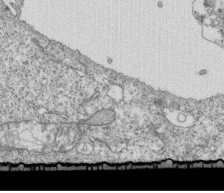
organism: Human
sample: HeLa cell HIV synapse